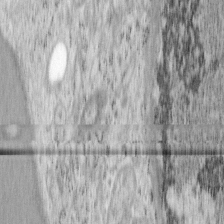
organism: Human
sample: HeLa cells